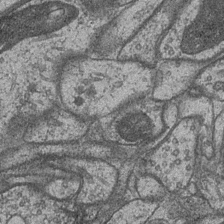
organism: Drosophila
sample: Optic medulla